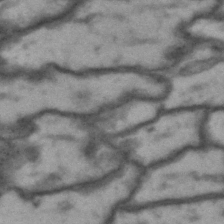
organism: Drosophila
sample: Brain